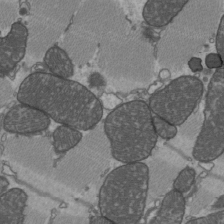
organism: C57BL Mouse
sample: Heart